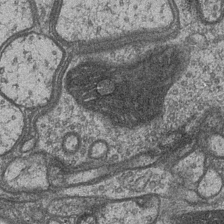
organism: Drosophila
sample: Optic medulla